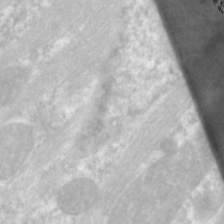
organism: C. elegans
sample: Pharynx